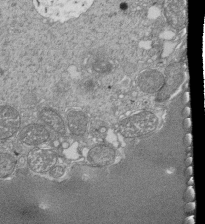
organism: Tetrahymena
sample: Cilia in tetrahymena